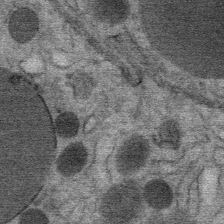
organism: Mouse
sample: Mouse Salivary gland